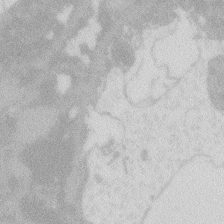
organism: Zebrafish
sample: Macrophage